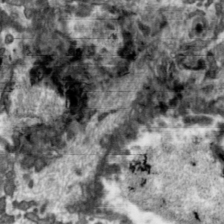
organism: Toxoplasma gondii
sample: Parasites in a vacuole inside a host cell